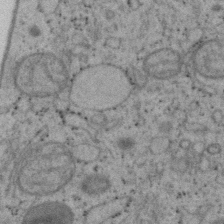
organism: Human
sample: HeLa cells